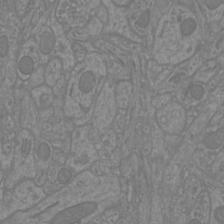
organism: Mouse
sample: Cortical neurons